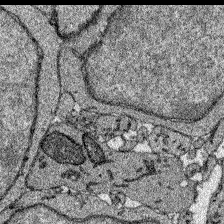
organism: Zebrafish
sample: Larval olfactory bulb